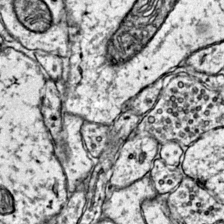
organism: Mouse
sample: Primary visual cortex